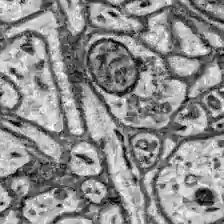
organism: Zebrafish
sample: Brain